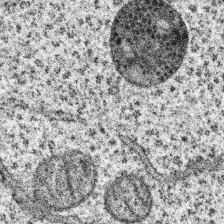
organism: Human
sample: HeLa cells